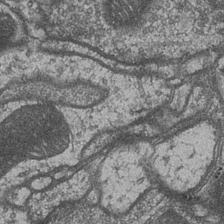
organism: Drosophila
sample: Optic medulla